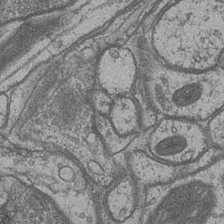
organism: Drosophila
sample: Optic medulla